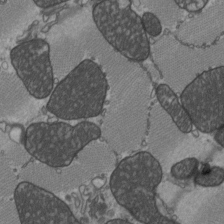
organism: C57BL Mouse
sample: Heart